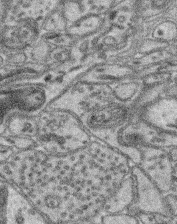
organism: Mouse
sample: Retina